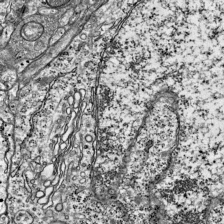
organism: Mouse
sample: Visual Cortex